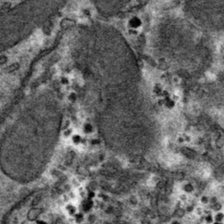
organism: Mouse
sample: Mouse hepatocytes